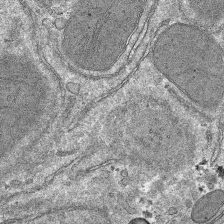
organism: Mouse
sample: Mouse hepatocytes